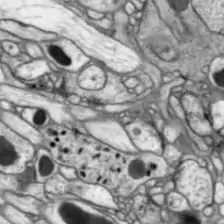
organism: Drosophila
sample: Optic lobe